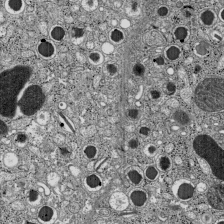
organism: C57BL Mouse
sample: Pancreatic islet